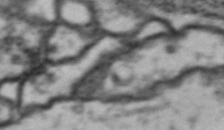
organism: Drosophila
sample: Brain